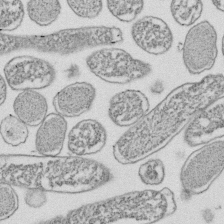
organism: E. coli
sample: Bacterial nucleoid